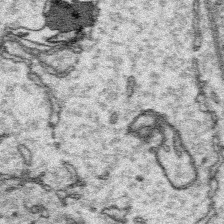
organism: Platynereis dumerilii